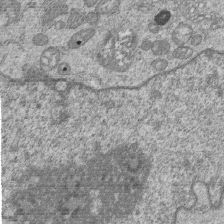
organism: Human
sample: MDA-MB-231 cells